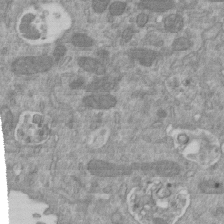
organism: Mouse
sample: ED-1 cell nuclei; centrioles